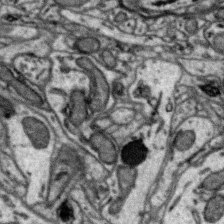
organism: Zebra finch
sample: Brain